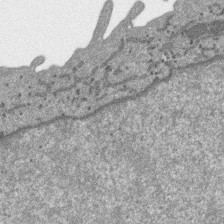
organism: Human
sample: Lung epithelial cells infected with SARS-CoV-2